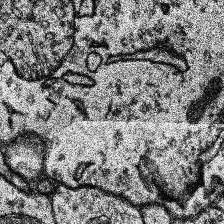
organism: Human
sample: Temporal Lobe